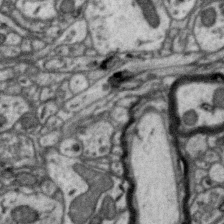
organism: Zebra finch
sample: Brain